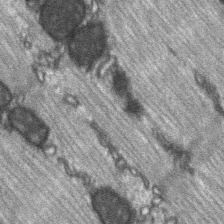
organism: C57BL Mouse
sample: Soleus